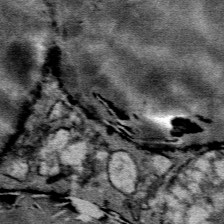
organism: Mouse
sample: Mouse Salivary gland